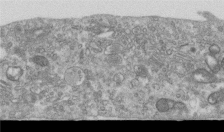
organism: Human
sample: Centriole in RPE cells